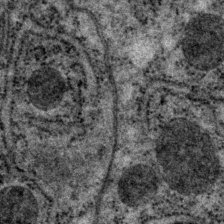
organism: P. pacificus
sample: Pharynx